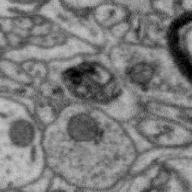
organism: Zebra finch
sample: Brain